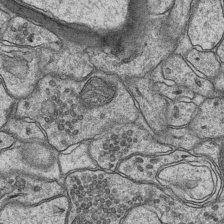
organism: Mouse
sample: CA1 Hippocampus